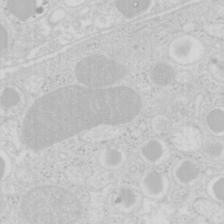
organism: Mouse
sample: Pancreas